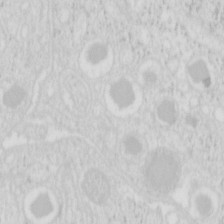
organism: Mouse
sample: Pancreas